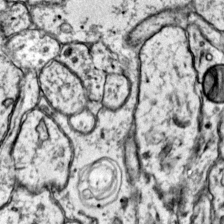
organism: Mouse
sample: Primary visual cortex